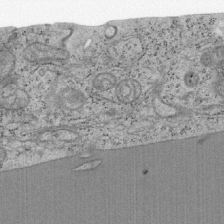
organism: Human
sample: HeLa cells